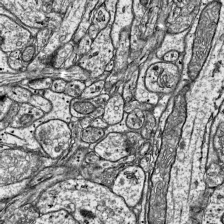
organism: Mouse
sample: Visual Cortex